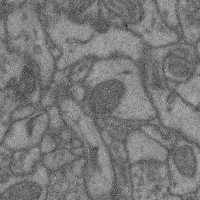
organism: Mouse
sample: Cerebral cortex